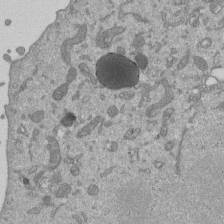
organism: Mouse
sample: ED-1 cell nuclei; centrioles